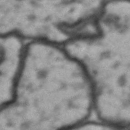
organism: Drosophila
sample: Brain